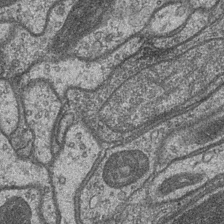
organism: Drosophila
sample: Optic medulla